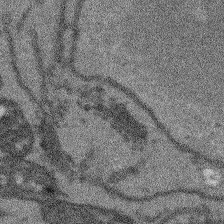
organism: Arabidopsis thaliana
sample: Root tip